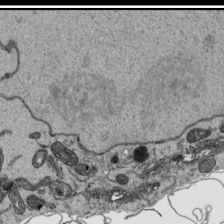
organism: Human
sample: Mitochondria in HCT116 cells